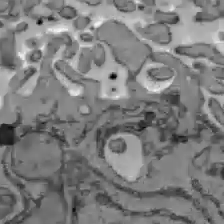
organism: C57BL Mouse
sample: Liver